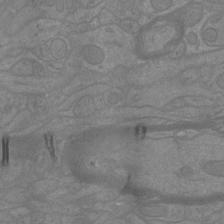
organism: Mouse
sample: Cortical neurons